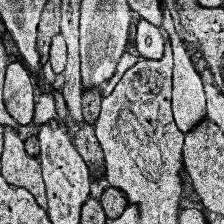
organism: Human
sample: Temporal Lobe